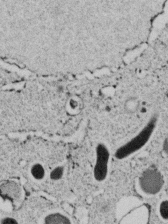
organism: C. elegans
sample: C. elegans embryo early stage